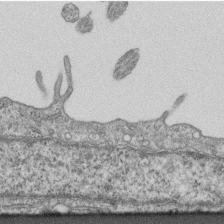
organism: Mouse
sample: Centriole in ependymal cells